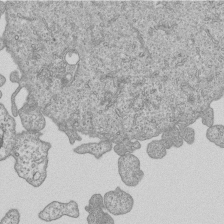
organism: Human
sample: MDA-MB-231 cells